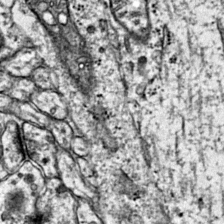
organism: Mouse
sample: Primary visual cortex